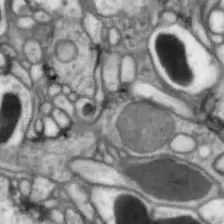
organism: Drosophila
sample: Optic lobe